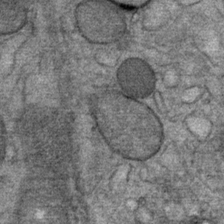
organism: Mouse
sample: Mouse Salivary gland